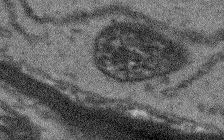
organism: Arabidopsis thaliana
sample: Root tip